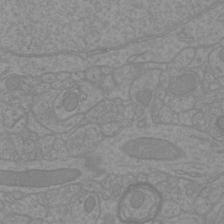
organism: Mouse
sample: Cortical neurons